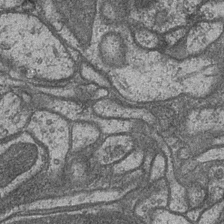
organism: Drosophila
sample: Optic medulla